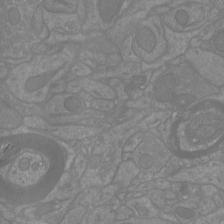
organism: Mouse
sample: Cortical neurons